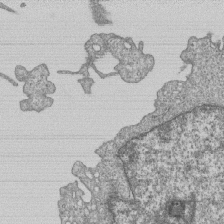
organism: Human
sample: MDA-MB-231 cells